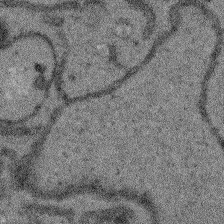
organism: Arabidopsis thaliana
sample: Root tip